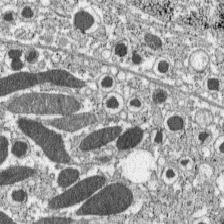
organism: C57BL Mouse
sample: Pancreatic islet